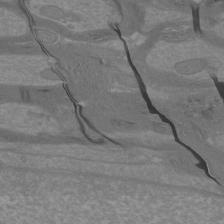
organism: Mouse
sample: Cortical neurons